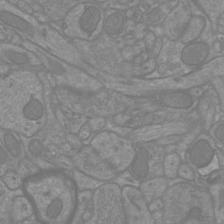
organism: Mouse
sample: Cortical neurons